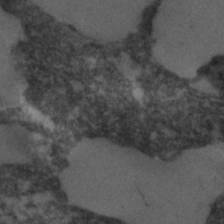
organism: C. elegans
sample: C. elegans embryo